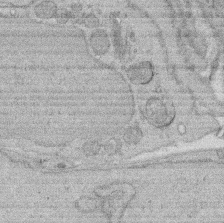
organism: Rat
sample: Salivary granule